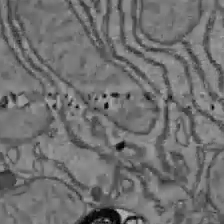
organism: C57BL Mouse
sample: Liver